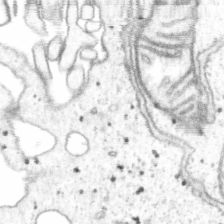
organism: Human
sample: HeLa cells